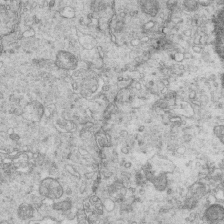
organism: Mouse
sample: Multiciliated cells